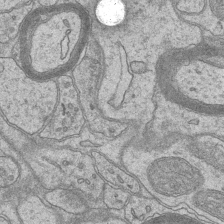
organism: Mouse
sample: CA1 Hippocampus